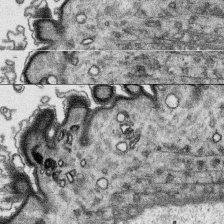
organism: Platynereis dumerilii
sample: Parapodia